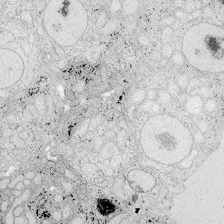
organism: Zebrafish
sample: Whole-Brain